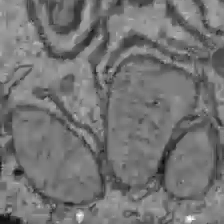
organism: C57BL Mouse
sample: Liver